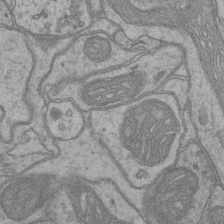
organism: Mouse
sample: CA1 Hippocampus